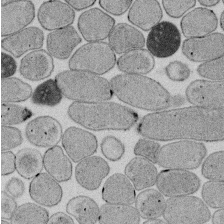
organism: E. coli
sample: Bacterial nucleoid